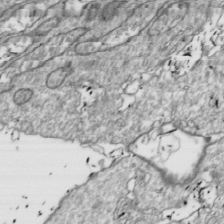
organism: Drosophila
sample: Cell division; meiosis; drosophila spermatocytes